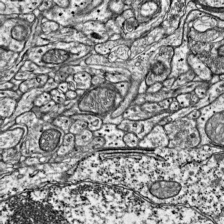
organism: Mouse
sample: Visual Cortex